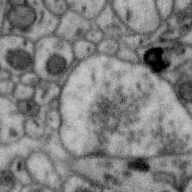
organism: Zebra finch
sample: Brain